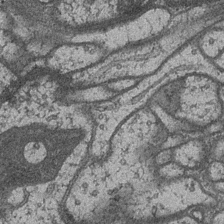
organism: Drosophila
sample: Optic medulla